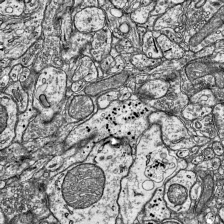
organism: Mouse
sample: Visual Cortex